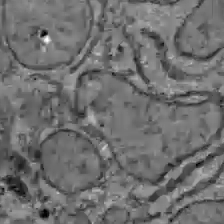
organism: C57BL Mouse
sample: Liver